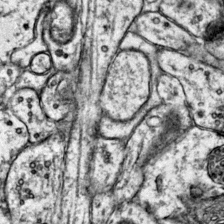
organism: Mouse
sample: Primary visual cortex